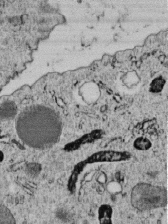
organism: C. elegans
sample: C. elegans embryo early stage